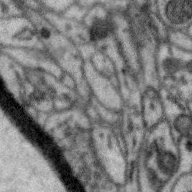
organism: Zebra finch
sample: Brain